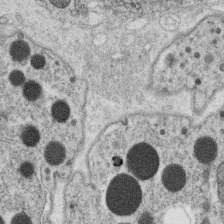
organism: C. elegans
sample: C. elegans oocyte; sperm cells